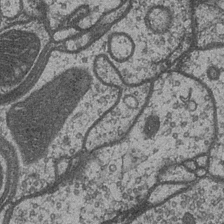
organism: Drosophila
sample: Optic medulla